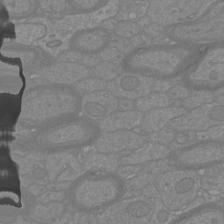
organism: Mouse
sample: Cortical neurons